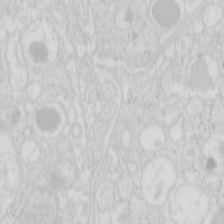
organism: Mouse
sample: Pancreas